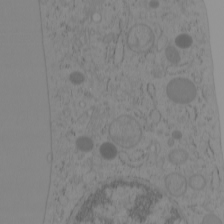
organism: Human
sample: HeLa cells